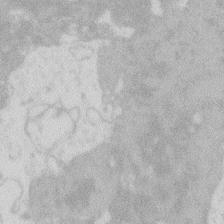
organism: Zebrafish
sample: Macrophage